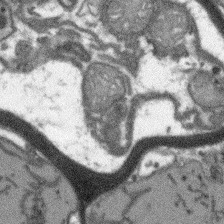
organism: Arabidopsis thaliana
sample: Root tip